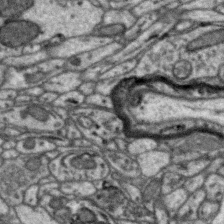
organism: Zebra finch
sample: Brain